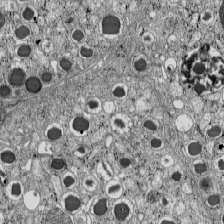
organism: C57BL Mouse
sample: Pancreatic islet